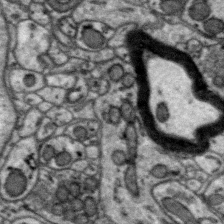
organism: Zebra finch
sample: Brain